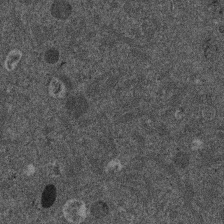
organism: Mouse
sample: Dividing mouse embryo 1 cell stage